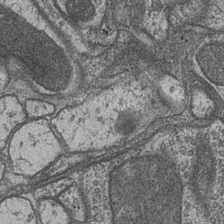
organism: Drosophila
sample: Optic medulla